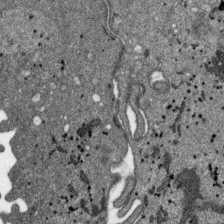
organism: Human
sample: Lung epithelial cells, uninfected (mock) control